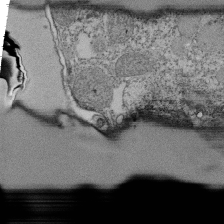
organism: Tetrahymena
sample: Cilia in tetrahymena